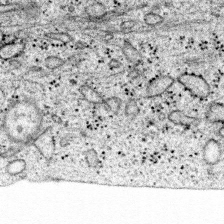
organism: Human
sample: HeLa cells